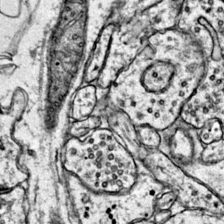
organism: Mouse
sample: Primary visual cortex